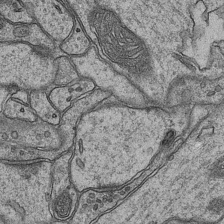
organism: Mouse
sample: CA1 Hippocampus